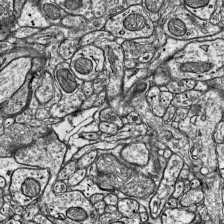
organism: Mouse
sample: Visual Cortex